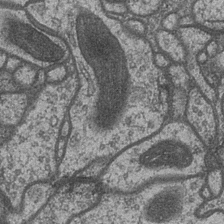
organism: Drosophila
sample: Optic medulla